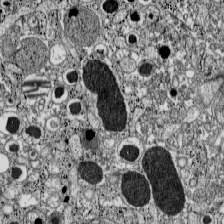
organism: C57BL Mouse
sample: Pancreatic islet